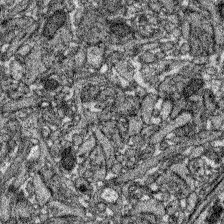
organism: Zebrafish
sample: Larval olfactory bulb